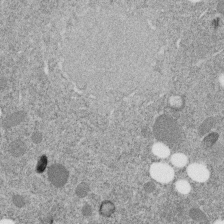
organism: C. elegans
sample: C. elegans embryo early stage